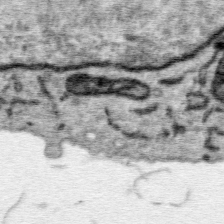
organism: Human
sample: HeLa cells